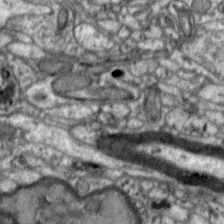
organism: Zebra finch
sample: Brain